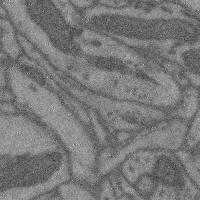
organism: Mouse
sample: Cerebral cortex